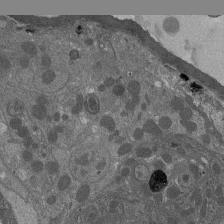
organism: Drosophila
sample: Antenna